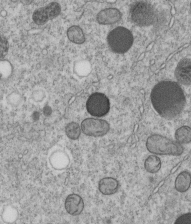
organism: C. elegans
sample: C. elegans embryo early stage